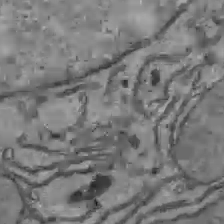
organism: C57BL Mouse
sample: Liver